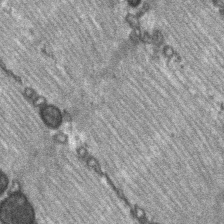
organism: C57BL Mouse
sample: Soleus